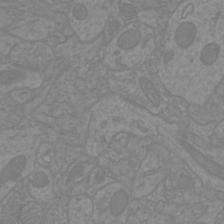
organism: Mouse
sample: Cortical neurons